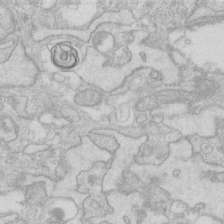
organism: Human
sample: Fibroblast cells